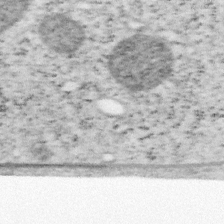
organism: Mouse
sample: OT-I killer T cells with ID8 ovarian cancer cells